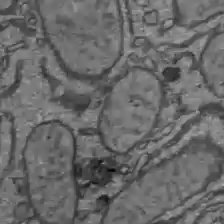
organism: C57BL Mouse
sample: Liver